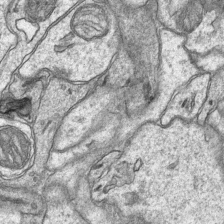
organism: Mouse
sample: CA1 Hippocampus